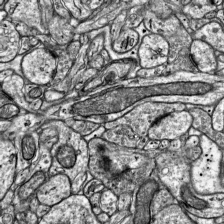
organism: Mouse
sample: Visual Cortex